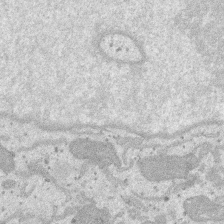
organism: Human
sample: Lung epithelial cells infected with SARS-CoV-2